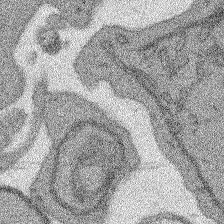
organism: Human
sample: HeLa cells